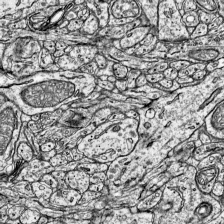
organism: Mouse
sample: Visual Cortex